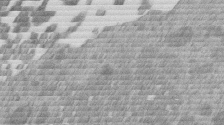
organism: Mouse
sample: Dividing mouse embryo 1 cell stage